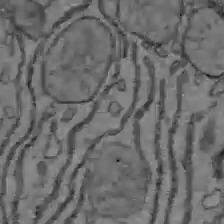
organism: C57BL Mouse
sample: Liver